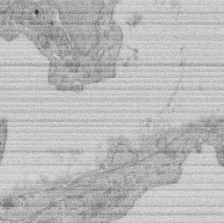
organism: Rat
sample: Salivary granule